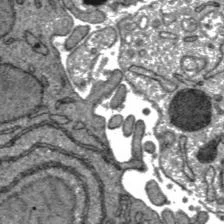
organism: C57BL Mouse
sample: Liver